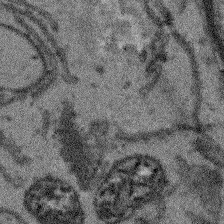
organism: Arabidopsis thaliana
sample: Root tip